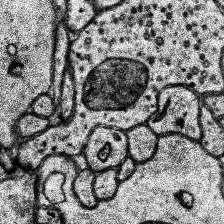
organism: Human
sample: Temporal Lobe